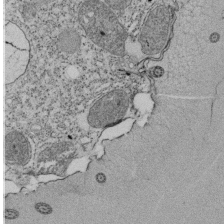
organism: Tetrahymena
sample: Cilia in tetrahymena